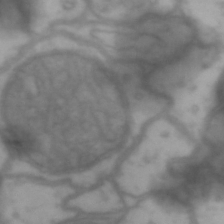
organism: Drosophila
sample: Brain